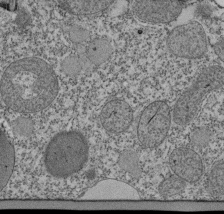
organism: Tetrahymena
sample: Cilia in tetrahymena